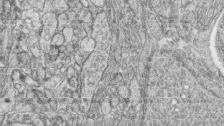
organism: Zebrafish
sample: synaptic ribbons in rod cells and cone cells